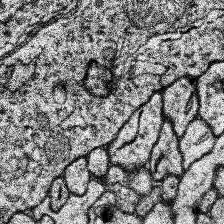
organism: Human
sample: Temporal Lobe